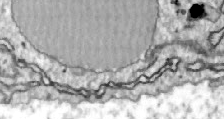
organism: Zebrafish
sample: Actinotrichia fibers